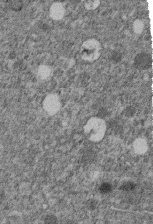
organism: C. elegans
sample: C. elegans embryo early stage